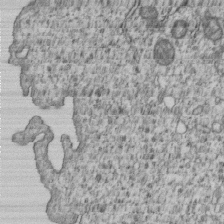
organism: Human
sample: MDA-MB-231 cells